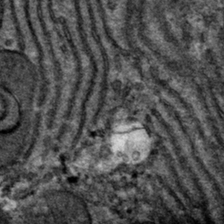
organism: Mouse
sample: Mouse hepatocytes